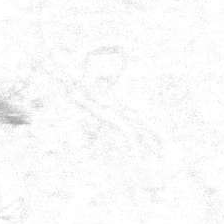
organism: Human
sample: Temporal Lobe